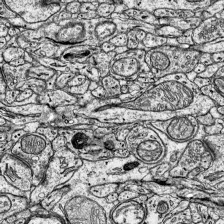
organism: Mouse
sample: Visual Cortex